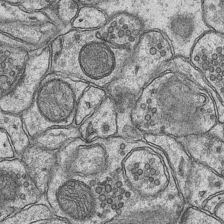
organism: Mouse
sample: CA1 Hippocampus